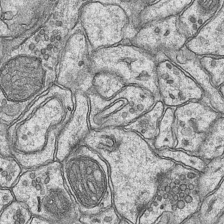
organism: Mouse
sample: CA1 Hippocampus